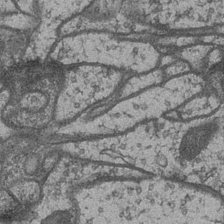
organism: Drosophila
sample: Optic medulla